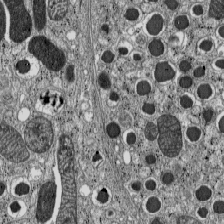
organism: C57BL Mouse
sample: Pancreatic islet